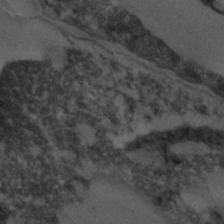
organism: C. elegans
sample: C. elegans embryo